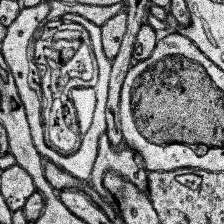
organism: Human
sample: Temporal Lobe